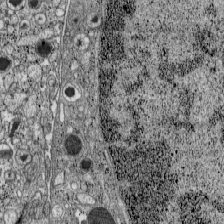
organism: C57BL Mouse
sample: Pancreatic islet